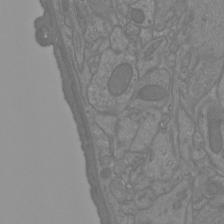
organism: Mouse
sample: Cortical neurons